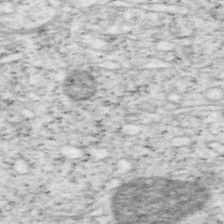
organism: Mouse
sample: OT-I killer T cells with ID8 ovarian cancer cells